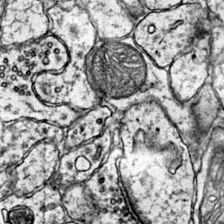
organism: Mouse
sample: Primary visual cortex